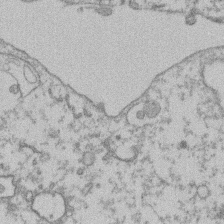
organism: Mouse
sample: T cell stromal cell synapse